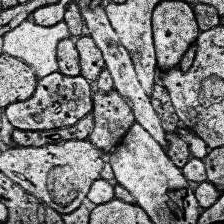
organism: Human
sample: Temporal Lobe